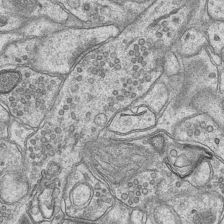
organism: Mouse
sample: CA1 Hippocampus